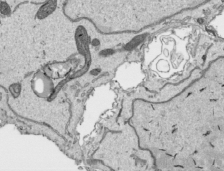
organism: Human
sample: Mitochondria in HCT116 cells